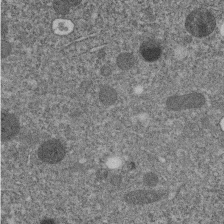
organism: C. elegans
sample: C. elegans embryo early stage